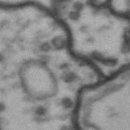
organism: Drosophila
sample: Brain